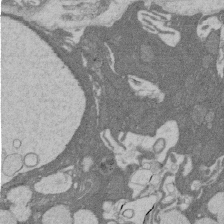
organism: Rat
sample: Salivary granule